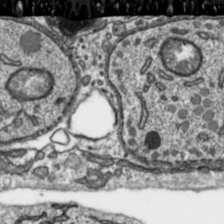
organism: Toxoplasma gondii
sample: Parasites in a vacuole inside a host cell